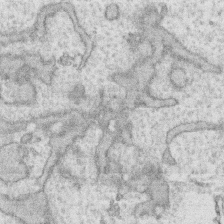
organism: Human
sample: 1205lu cells